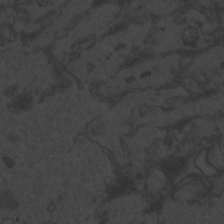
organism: Zebrafish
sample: Macrophage infected with Toxoplasma gondii